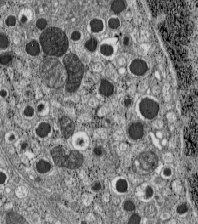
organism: C57BL Mouse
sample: Pancreatic islet